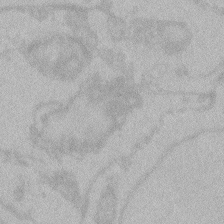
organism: Zebrafish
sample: Macrophage infected with Toxoplasma gondii